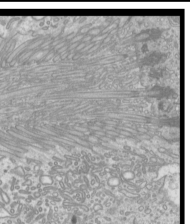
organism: Mouse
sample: Cilia; mouse epididymis